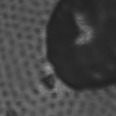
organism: C57BL Mouse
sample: Heart